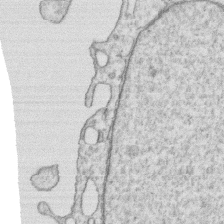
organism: Human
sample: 1205lu cells